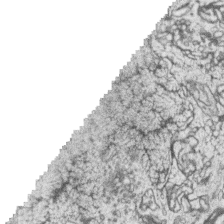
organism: Zebrafish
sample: synaptic ribbons in rod cells and cone cells